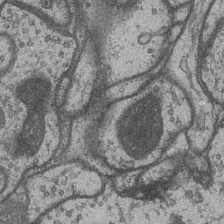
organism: Drosophila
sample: Optic medulla